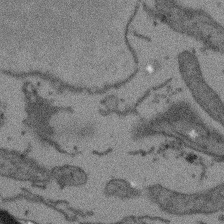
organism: Arabidopsis thaliana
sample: Root tip